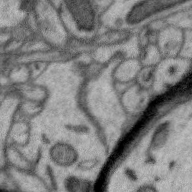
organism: Zebra finch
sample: Brain